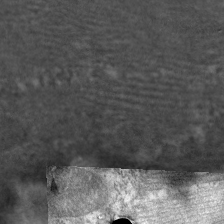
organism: C. elegans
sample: Pharynx